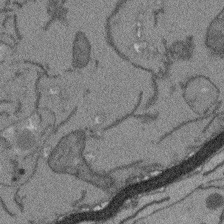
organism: Arabidopsis thaliana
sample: Root tip